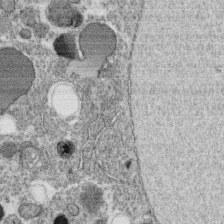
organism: C. elegans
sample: C. elegans oocyte; sperm cells